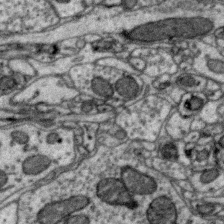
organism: Zebra finch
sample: Brain